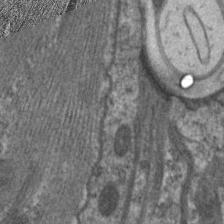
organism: C. elegans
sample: Pharynx